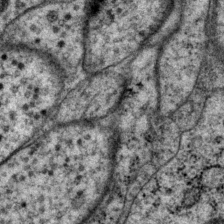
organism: P. pacificus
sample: Pharynx